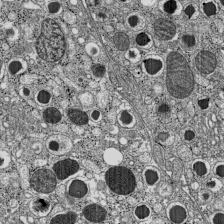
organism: C57BL Mouse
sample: Pancreatic islet